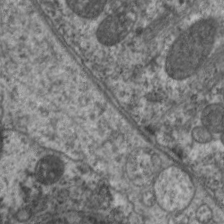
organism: C. elegans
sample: Pharynx